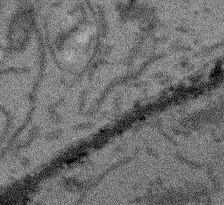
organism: Arabidopsis thaliana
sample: Root tip